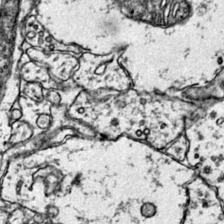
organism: Mouse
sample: Primary visual cortex